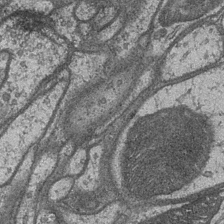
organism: Drosophila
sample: Optic medulla